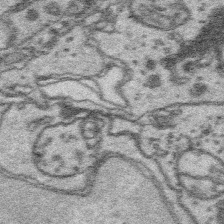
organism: Platynereis dumerilii